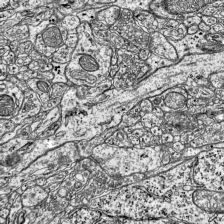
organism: Mouse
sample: Visual Cortex